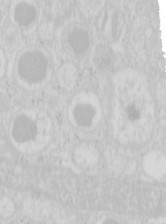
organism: Mouse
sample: Pancreas